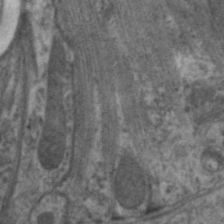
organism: C. elegans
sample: Pharynx